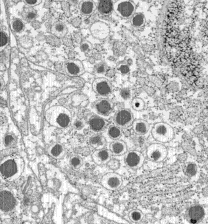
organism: C57BL Mouse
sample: Pancreatic islet